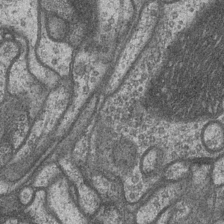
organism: Drosophila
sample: Optic medulla